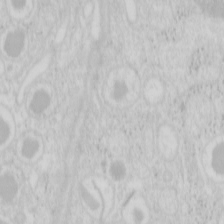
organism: Mouse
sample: Pancreas